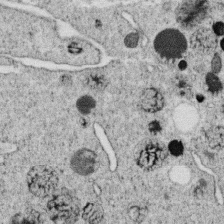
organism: C. elegans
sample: C. elegans oocyte; sperm cells